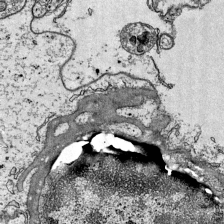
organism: Mouse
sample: Visual Cortex